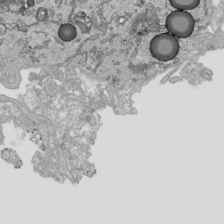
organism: Human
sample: Mitochondria in HCT116 cells